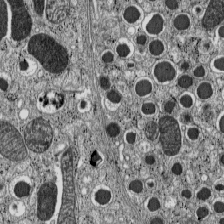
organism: C57BL Mouse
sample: Pancreatic islet